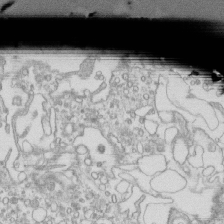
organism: Mouse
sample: Macrophages